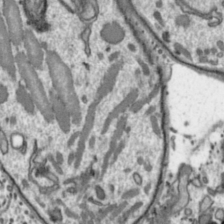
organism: Toxoplasma gondii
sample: Parasites in a vacuole inside a host cell